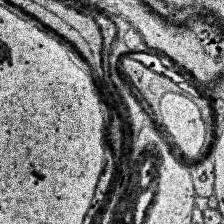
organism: Human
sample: Temporal Lobe